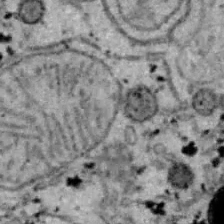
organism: Mouse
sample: Liver from an obese (ob/ob) mouse